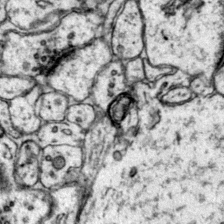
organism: Mouse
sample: Primary visual cortex